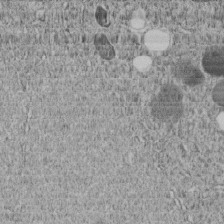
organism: C. elegans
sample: C. elegans embryo early stage